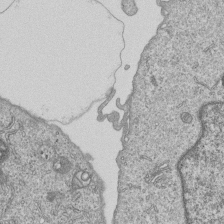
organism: Human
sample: MDA-MB-231 cells